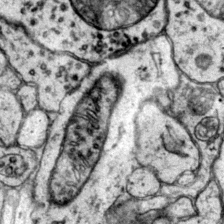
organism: Mouse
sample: Primary visual cortex